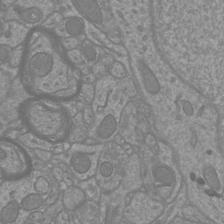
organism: Mouse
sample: Cortical neurons